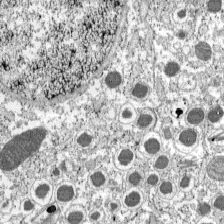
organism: C57BL Mouse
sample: Pancreatic islet